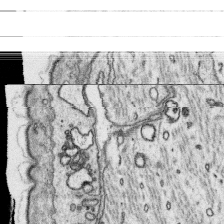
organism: Platynereis dumerilii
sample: Parapodia